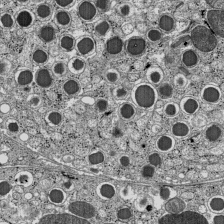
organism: C57BL Mouse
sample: Pancreatic islet